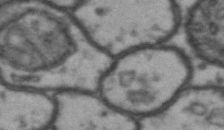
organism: Drosophila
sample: Brain